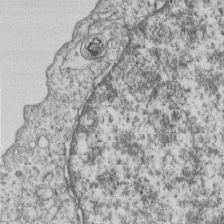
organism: Human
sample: MDA-MB-231 cells